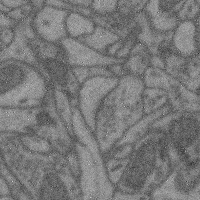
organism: Mouse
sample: Cerebral cortex